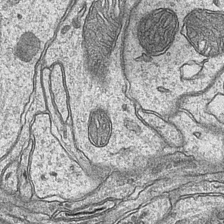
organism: Mouse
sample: CA1 Hippocampus